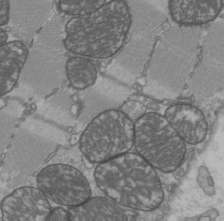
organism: C57BL Mouse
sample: Heart